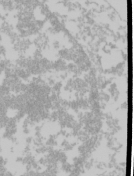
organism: Mouse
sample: Cancer cell death in ED-1 cells